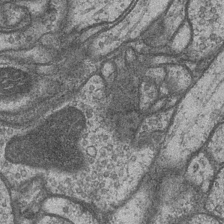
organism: Drosophila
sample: Optic medulla